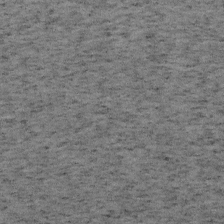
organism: Mouse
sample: OT-I killer T cells with ID8 ovarian cancer cells